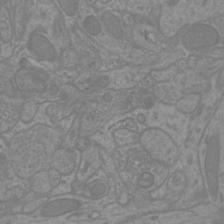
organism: Mouse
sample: Cortical neurons